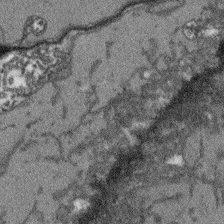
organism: Arabidopsis thaliana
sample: Root tip